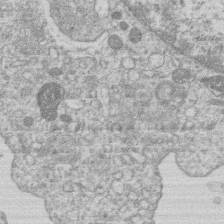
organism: Human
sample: Macrophage cells